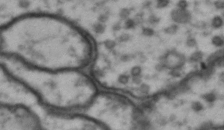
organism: Drosophila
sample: Brain